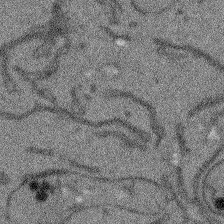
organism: Arabidopsis thaliana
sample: Root tip